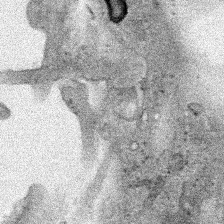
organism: Human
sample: Mitochondria in HCT116 cells